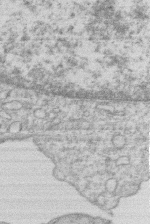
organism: Human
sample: Macrophage cells